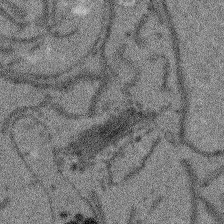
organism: Arabidopsis thaliana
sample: Root tip